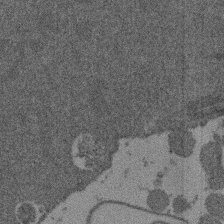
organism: Mouse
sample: Dividing mouse embryo 1 cell stage